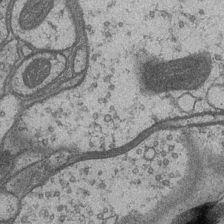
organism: Drosophila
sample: Optic medulla